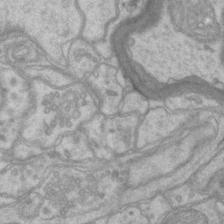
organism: Mouse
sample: CA1 Hippocampus